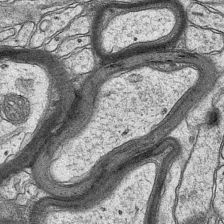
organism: Mouse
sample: CA1 Hippocampus